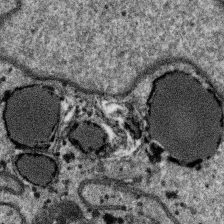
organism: Human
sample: Lung epithelial cells infected with SARS-CoV-2